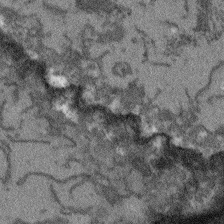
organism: Arabidopsis thaliana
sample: Root tip